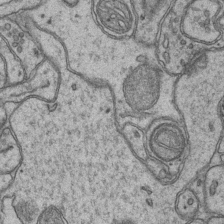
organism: Mouse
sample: CA1 Hippocampus